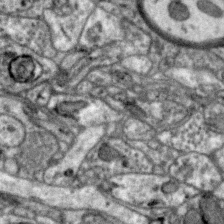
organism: Zebra finch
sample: Brain